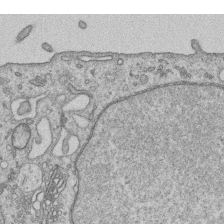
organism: Human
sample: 1205lu cells